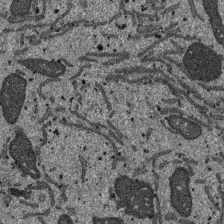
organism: Human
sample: Lung epithelial cells infected with SARS-CoV-2